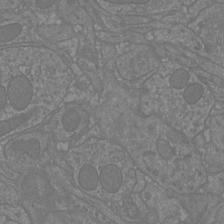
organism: Mouse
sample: Cortical neurons